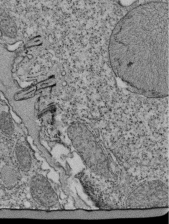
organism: Tetrahymena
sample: Cilia in tetrahymena